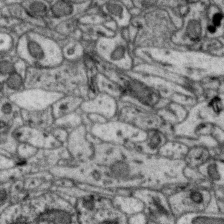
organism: Zebra finch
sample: Brain